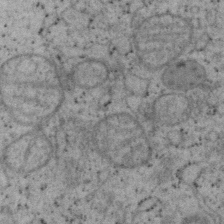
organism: Human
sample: HeLa cells